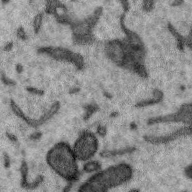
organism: Zebra finch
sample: Brain